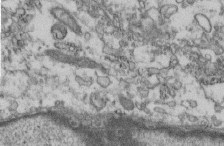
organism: Mouse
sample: Cilia; retinal pigment epithelium